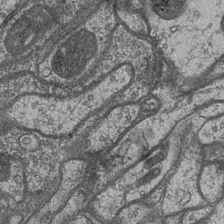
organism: Drosophila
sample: Optic medulla